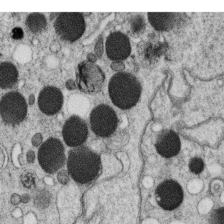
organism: C. elegans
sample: C. elegans oocyte; sperm cells